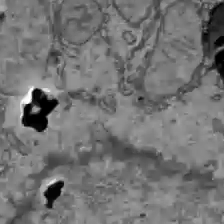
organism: C57BL Mouse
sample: Liver